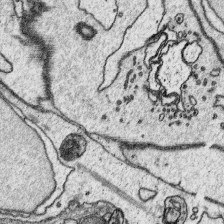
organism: Platynereis dumerilii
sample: Parapodia